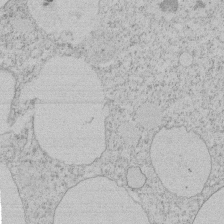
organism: Tetrahymena